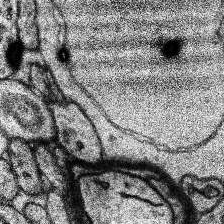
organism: Human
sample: Temporal Lobe